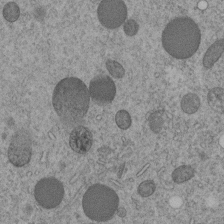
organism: C. elegans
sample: C. elegans embryo early stage